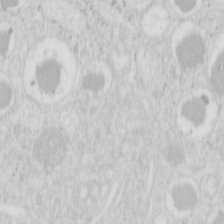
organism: Mouse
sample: Pancreas